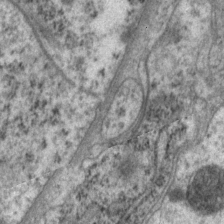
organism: P. pacificus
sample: Pharynx